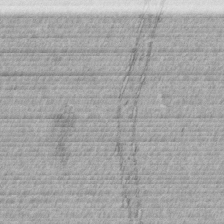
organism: C. elegans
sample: C. elegans embryo early stage